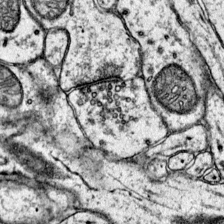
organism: Mouse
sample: Primary visual cortex